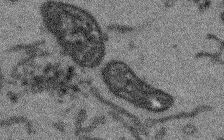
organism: Arabidopsis thaliana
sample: Root tip